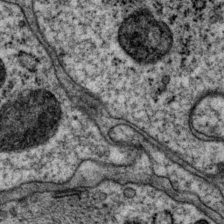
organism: P. pacificus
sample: Pharynx